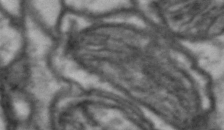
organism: Drosophila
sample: Brain